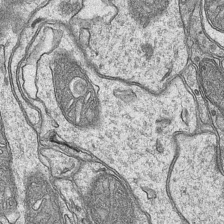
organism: Mouse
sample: CA1 Hippocampus